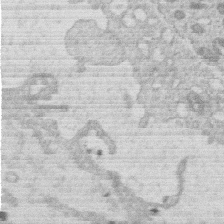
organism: Human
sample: Macrophage cells